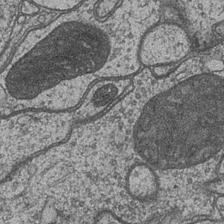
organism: Drosophila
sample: Optic medulla